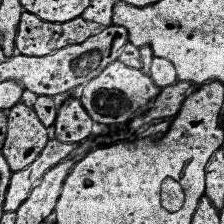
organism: Human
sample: Temporal Lobe